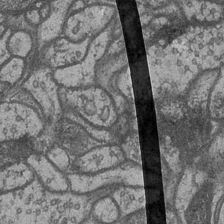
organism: Drosophila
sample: Optic medulla